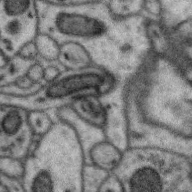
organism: Zebra finch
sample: Brain